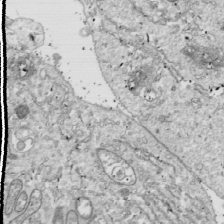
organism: Drosophila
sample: Cell division; meiosis; drosophila spermatocytes